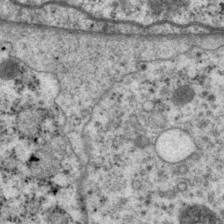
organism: P. pacificus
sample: Pharynx